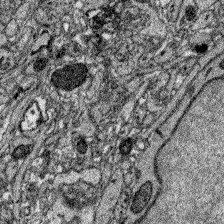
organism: Zebrafish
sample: Larval olfactory bulb